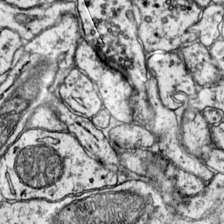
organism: Mouse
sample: Primary visual cortex